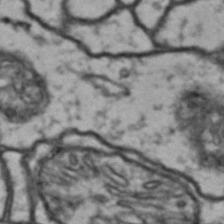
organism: Drosophila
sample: Brain